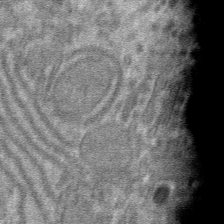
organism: Mouse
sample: Mouse hepatocytes